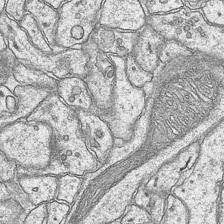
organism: Mouse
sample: CA1 Hippocampus